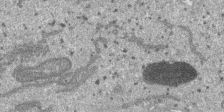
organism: Human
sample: Lung epithelial cells infected with SARS-CoV-2